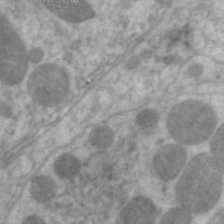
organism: C. elegans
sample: Pharynx